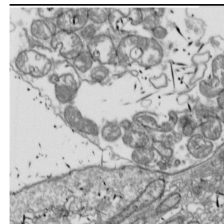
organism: Drosophila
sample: Cell division; meiosis; drosophila spermatocytes